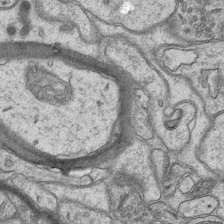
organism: Mouse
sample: CA1 Hippocampus